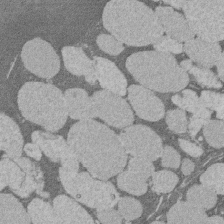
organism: Rat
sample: Salivary granule